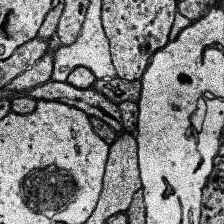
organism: Human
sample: Temporal Lobe